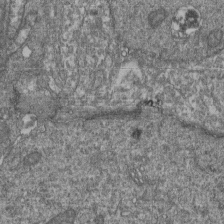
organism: Human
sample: Retinal organoid Rod and Cone cells